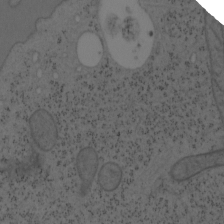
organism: Mouse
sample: OT-I killer T cells with ID8 ovarian cancer cells